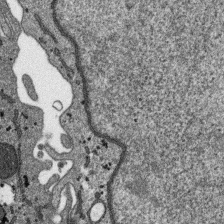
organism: Human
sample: Lung epithelial cells infected with SARS-CoV-2